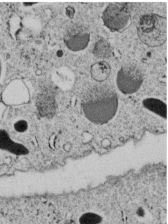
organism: C. elegans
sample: C. elegans embryo early stage